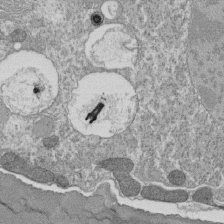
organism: Tetrahymena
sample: Cilia in tetrahymena